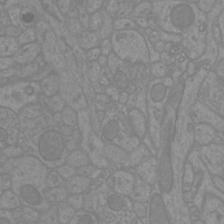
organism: Mouse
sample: Cortical neurons